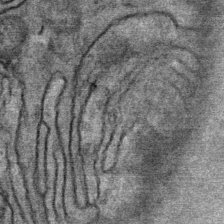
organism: Mouse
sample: Mouse Salivary gland